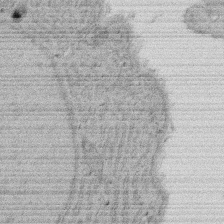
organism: Rat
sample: Salivary granule